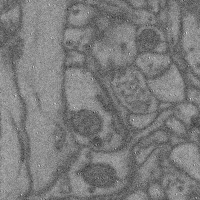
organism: Mouse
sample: Cerebral cortex